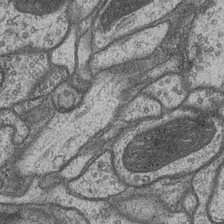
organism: Drosophila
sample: Optic medulla